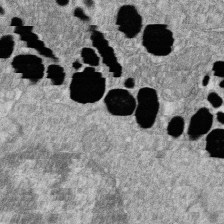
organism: Zebrafish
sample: Cilia; retinal pigment epithelium